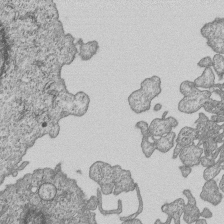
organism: Human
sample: MDA-MB-231 cells